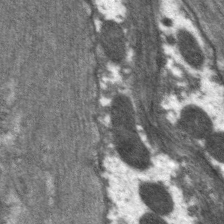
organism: C. elegans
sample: Pharynx